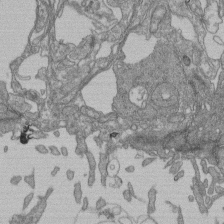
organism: Human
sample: Retinal organoid Rod and Cone cells